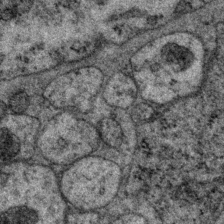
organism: P. pacificus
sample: Pharynx